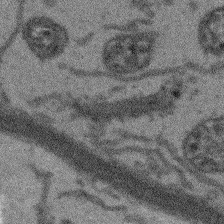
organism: Arabidopsis thaliana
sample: Root tip